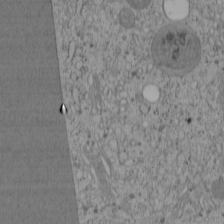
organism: African green monkey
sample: COS-7 cells